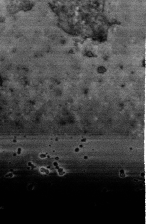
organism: Human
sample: Activated Jurkat CD4+ T cells